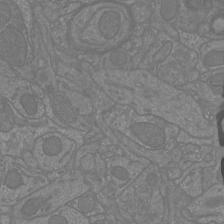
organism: Mouse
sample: Cortical neurons